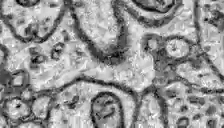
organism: Zebrafish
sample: Brain